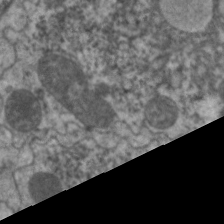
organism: C. elegans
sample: Pharynx